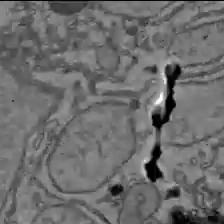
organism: C57BL Mouse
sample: Liver